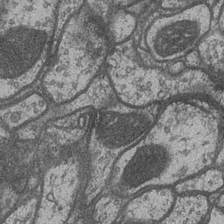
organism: Drosophila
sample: Optic medulla